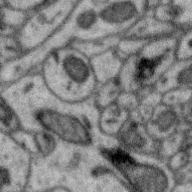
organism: Zebra finch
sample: Brain